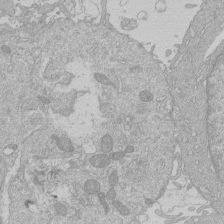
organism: Human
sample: Macrophage cells